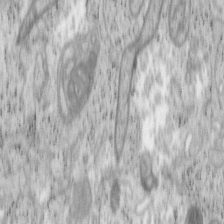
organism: Human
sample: HeLa cells